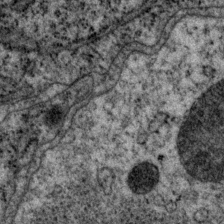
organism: P. pacificus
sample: Pharynx